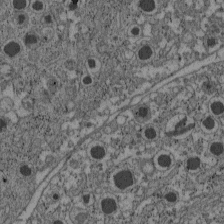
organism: C57BL Mouse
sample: Pancreatic islet